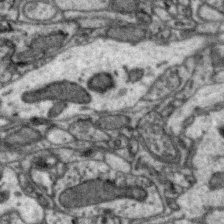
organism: Zebra finch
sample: Brain